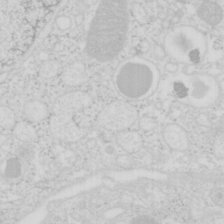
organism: Mouse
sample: Pancreas